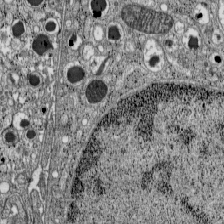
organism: C57BL Mouse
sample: Pancreatic islet